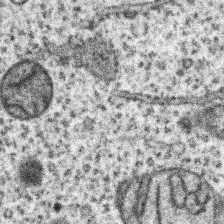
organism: Human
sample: HeLa cells